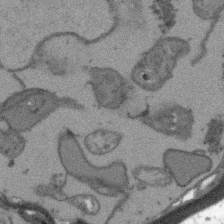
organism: Arabidopsis thaliana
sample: Root tip